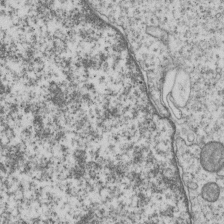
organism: Human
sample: MDA-MB-231 cells